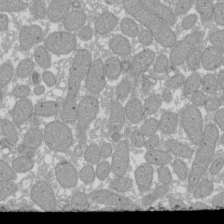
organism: Xenopus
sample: Cilia; centrioles in frog embryo cells